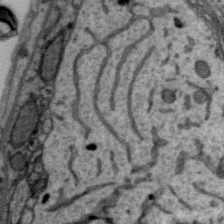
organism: Zebra finch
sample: Brain